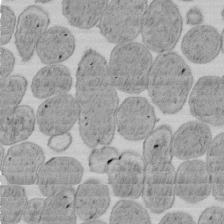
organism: E. coli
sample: Bacterial nucleoid